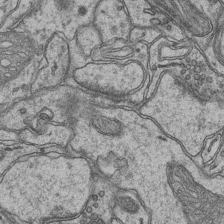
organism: Mouse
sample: CA1 Hippocampus